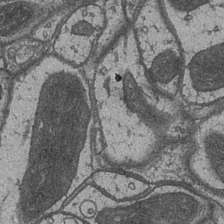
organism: Drosophila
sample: Optic medulla